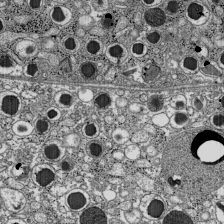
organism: C57BL Mouse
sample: Pancreatic islet